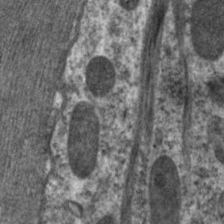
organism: C. elegans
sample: Pharynx